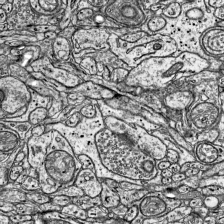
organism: Mouse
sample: Visual Cortex